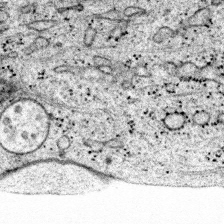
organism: Human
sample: HeLa cells